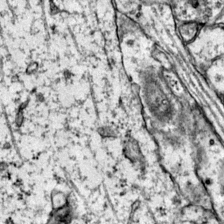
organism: Mouse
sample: Primary visual cortex